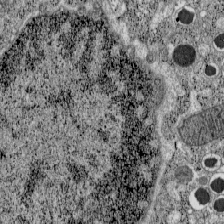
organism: C57BL Mouse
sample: Pancreatic islet